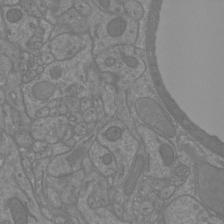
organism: Mouse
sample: Cortical neurons